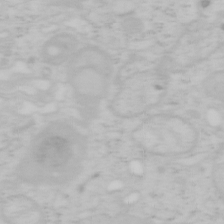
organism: Mouse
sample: OT-I killer T cells with ID8 ovarian cancer cells